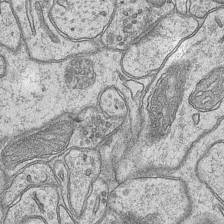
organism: Mouse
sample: CA1 Hippocampus